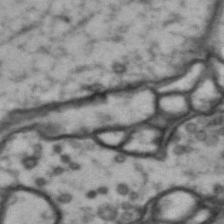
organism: Drosophila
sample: Brain